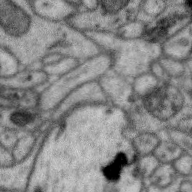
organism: Zebra finch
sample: Brain